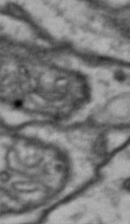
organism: Drosophila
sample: Brain